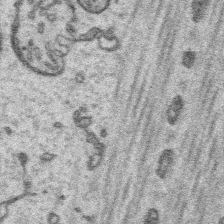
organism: Platynereis dumerilii